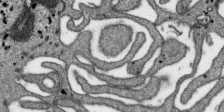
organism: Human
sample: Lung epithelial cells, uninfected (mock) control